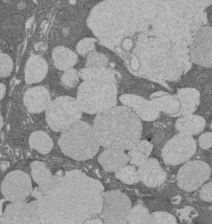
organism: Rat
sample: Salivary granule